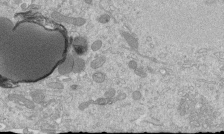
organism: Mouse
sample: ED-1 cell nuclei; centrioles